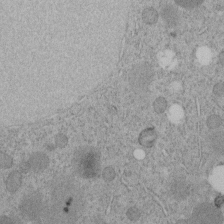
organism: C. elegans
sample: C. elegans embryo early stage